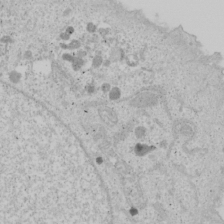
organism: Human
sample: Mitochondria in U2OS cells